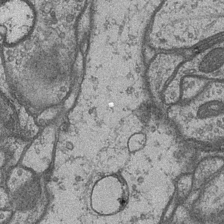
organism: Drosophila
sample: Optic medulla